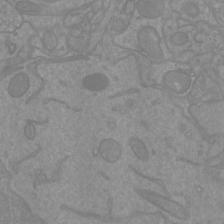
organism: Mouse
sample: Cortical neurons